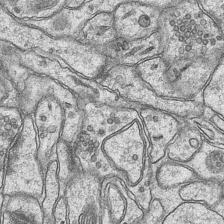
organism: Mouse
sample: CA1 Hippocampus